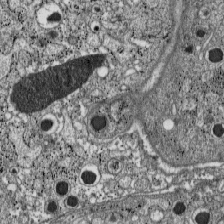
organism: C57BL Mouse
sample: Pancreatic islet